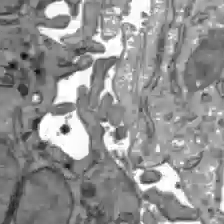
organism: C57BL Mouse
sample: Liver